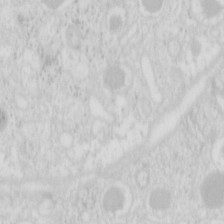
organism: Mouse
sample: Pancreas